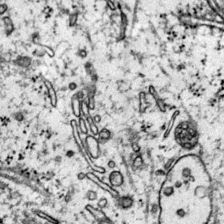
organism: Mouse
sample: Primary visual cortex